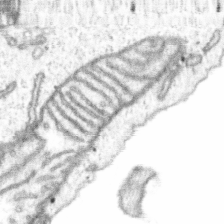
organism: Human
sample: HeLa cells